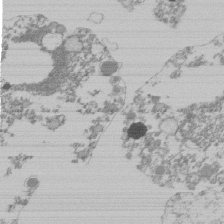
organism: Mouse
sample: Activated Pmel transgenic CD8+ T Cells